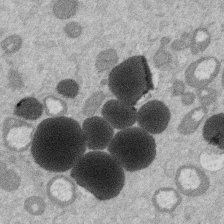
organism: Mouse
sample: Dividing mouse embryo 1 cell stage